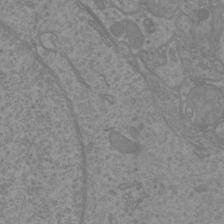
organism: Mouse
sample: Cortical neurons